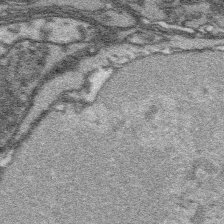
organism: Platynereis dumerilii